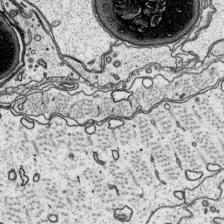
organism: Platynereis dumerilii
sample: Parapodia